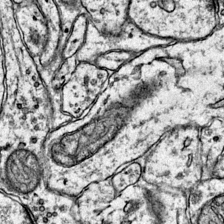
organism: Mouse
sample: Primary visual cortex